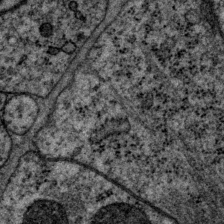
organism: P. pacificus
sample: Pharynx